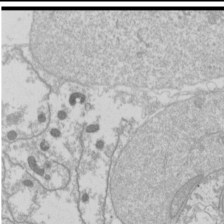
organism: Drosophila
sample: Cell division; meiosis; drosophila spermatocytes